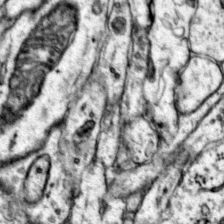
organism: Mouse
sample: Primary visual cortex